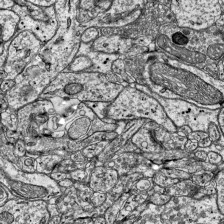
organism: Mouse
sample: Visual Cortex